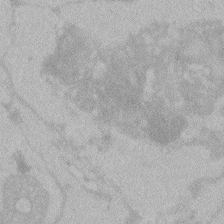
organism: Zebrafish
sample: Macrophage infected with Toxoplasma gondii